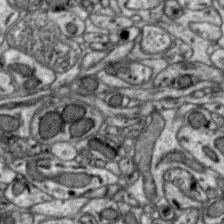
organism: Zebra finch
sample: Brain